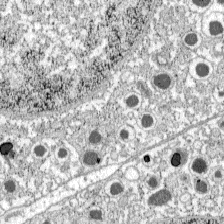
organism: C57BL Mouse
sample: Pancreatic islet